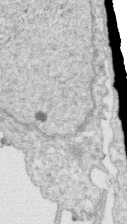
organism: Human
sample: HeLa cell HIV synapse